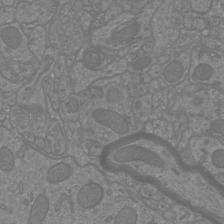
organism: Mouse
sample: Cortical neurons